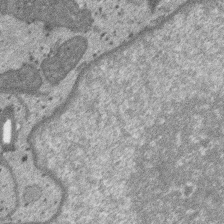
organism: Human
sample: Lung epithelial cells infected with SARS-CoV-2